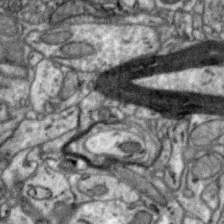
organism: Zebra finch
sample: Brain